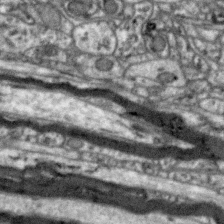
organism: Zebra finch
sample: Brain